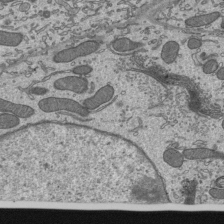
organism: Mouse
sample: Mouse epididymis efferent ductule cilia